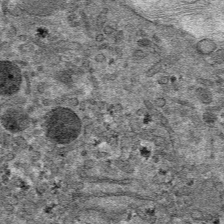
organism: Mouse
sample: Mouse hepatocytes